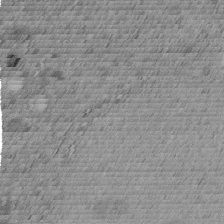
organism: C. elegans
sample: C. elegans embryo early stage